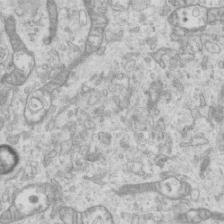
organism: Mouse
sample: Centriole in ependymal cells